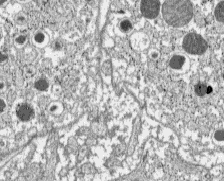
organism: C57BL Mouse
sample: Pancreatic islet